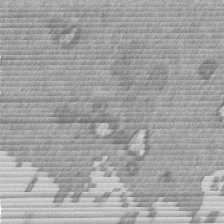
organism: Mouse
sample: Dividing mouse embryo 1 cell stage